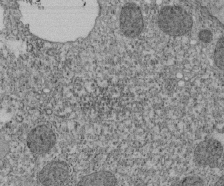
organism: Tetrahymena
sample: Cilia in tetrahymena